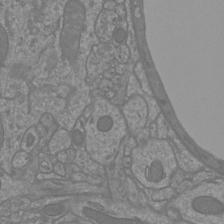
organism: Mouse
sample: Cortical neurons